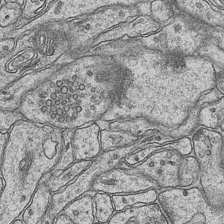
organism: Mouse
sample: CA1 Hippocampus